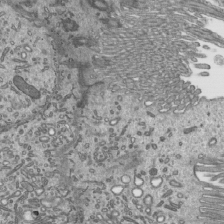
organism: Mouse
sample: Mouse epididymis efferent ductule cilia